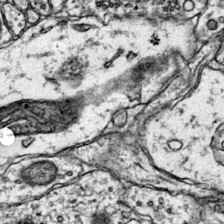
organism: Mouse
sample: Primary visual cortex